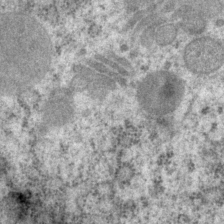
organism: P. pacificus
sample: Pharynx